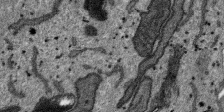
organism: Human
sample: Lung epithelial cells, uninfected (mock) control